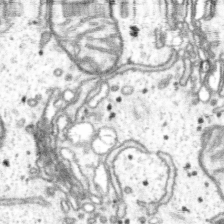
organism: Human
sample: HeLa cells